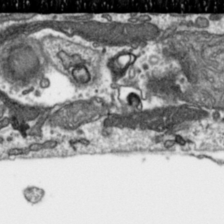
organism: Toxoplasma gondii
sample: Parasites in a vacuole inside a host cell